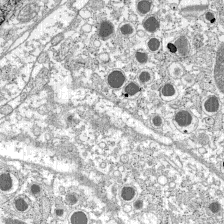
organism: C57BL Mouse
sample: Pancreatic islet